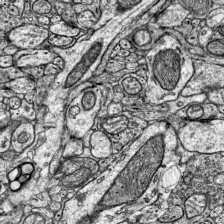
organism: Mouse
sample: Visual Cortex